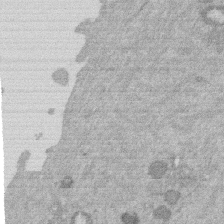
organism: Mouse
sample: Dividing mouse embryo 1 cell stage